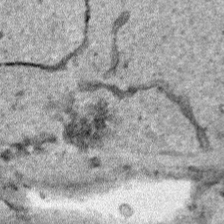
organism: Human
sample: Mitochondria in HCT116 cells